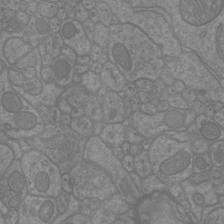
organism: Mouse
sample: Cortical neurons